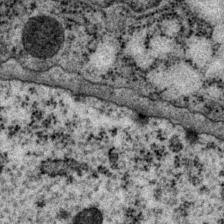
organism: P. pacificus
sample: Pharynx